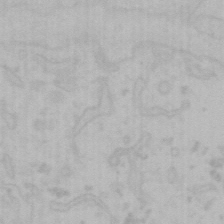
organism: Mouse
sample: Choroid plexus